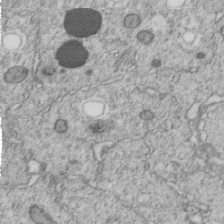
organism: C. elegans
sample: C. elegans embryo early stage